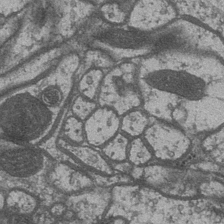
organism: Drosophila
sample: Optic medulla